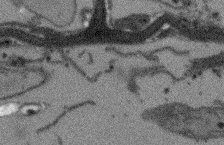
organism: Arabidopsis thaliana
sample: Root tip